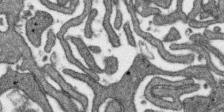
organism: Human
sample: Lung epithelial cells, uninfected (mock) control